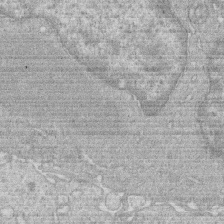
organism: Human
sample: Macrophage cells